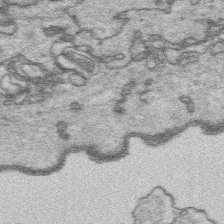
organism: Platynereis dumerilii